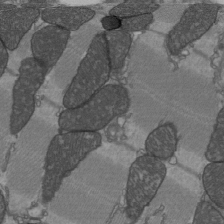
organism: C57BL Mouse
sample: Heart